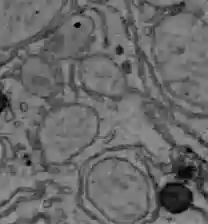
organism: C57BL Mouse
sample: Liver